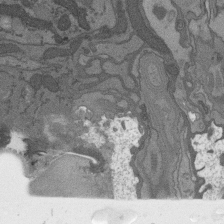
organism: C. elegans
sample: AFD neurons C. elegans